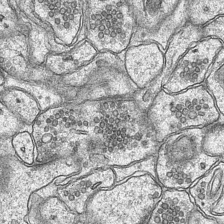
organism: Mouse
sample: CA1 Hippocampus